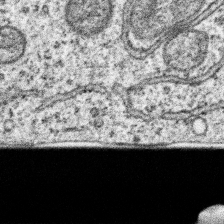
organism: Human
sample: HeLa cells